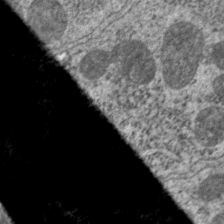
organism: C. elegans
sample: Pharynx